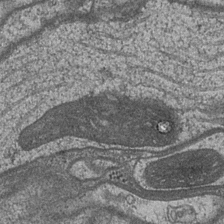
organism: Drosophila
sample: Optic medulla